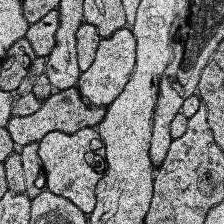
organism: Human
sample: Temporal Lobe